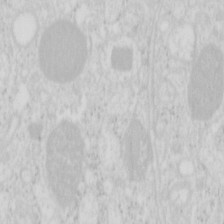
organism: Mouse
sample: Pancreas